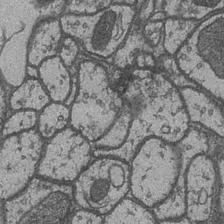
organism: Drosophila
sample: Optic medulla